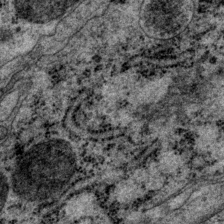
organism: P. pacificus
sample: Pharynx